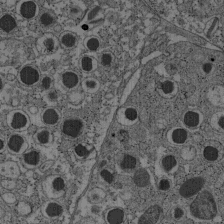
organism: C57BL Mouse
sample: Pancreatic islet